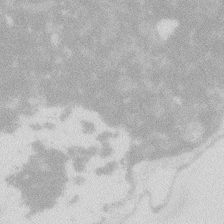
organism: Zebrafish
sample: Macrophage